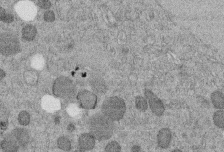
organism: C. elegans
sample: C. elegans embryo early stage